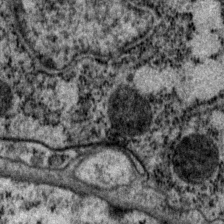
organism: P. pacificus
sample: Pharynx